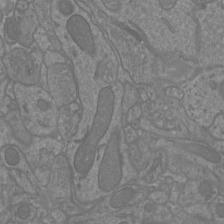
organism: Mouse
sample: Cortical neurons